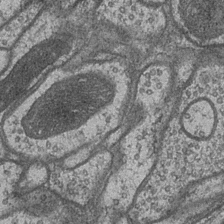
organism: Drosophila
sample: Optic medulla